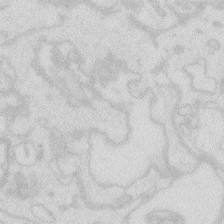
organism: Zebrafish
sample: Macrophage